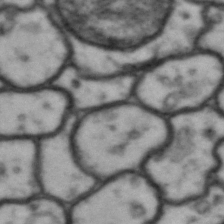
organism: Drosophila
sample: Brain